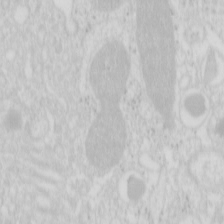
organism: Mouse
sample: Pancreas